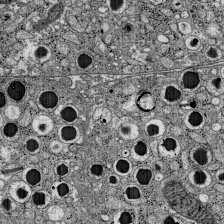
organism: C57BL Mouse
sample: Pancreatic islet